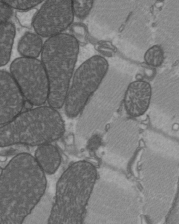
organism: C57BL Mouse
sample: Heart